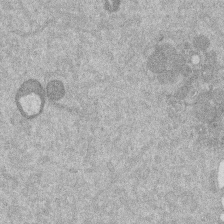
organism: Mouse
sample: Dividing mouse embryo 1 cell stage